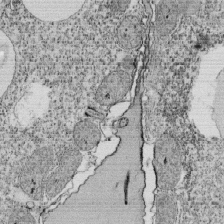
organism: Tetrahymena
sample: Cilia in tetrahymena